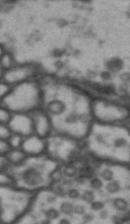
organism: Drosophila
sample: Brain